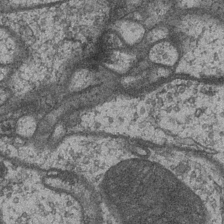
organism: Drosophila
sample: Optic medulla